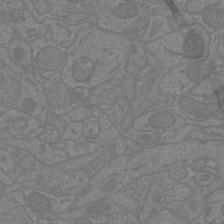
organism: Mouse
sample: Cortical neurons